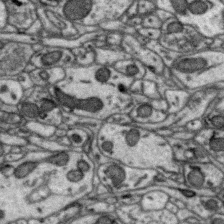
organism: Zebra finch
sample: Brain